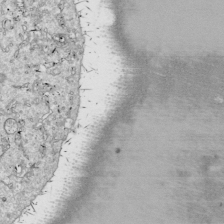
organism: Drosophila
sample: Cell division; meiosis; drosophila spermatocytes